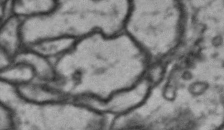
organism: Drosophila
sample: Brain